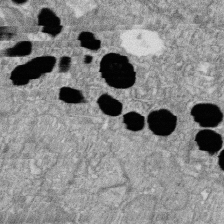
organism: Zebrafish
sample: Cilia; retinal pigment epithelium